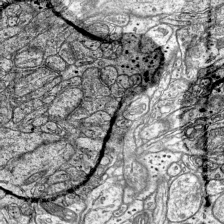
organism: Mouse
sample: Visual Cortex